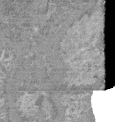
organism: Mouse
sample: Glomerulus